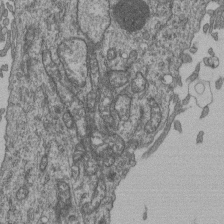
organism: Human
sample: Retinal organoid Rod and Cone cells